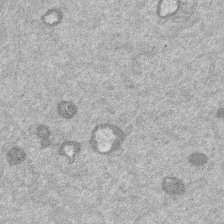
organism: Mouse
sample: Dividing mouse embryo 1 cell stage